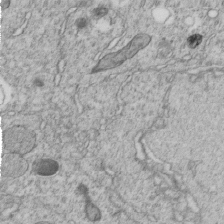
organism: C. elegans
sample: C. elegans embryo early stage